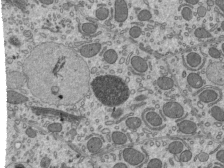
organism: Mouse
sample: Mouse epididymis efferent ductule cilia